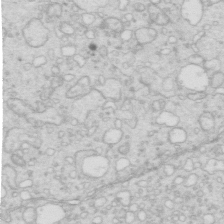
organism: Mouse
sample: Multiciliated cells